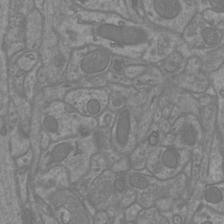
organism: Mouse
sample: Cortical neurons